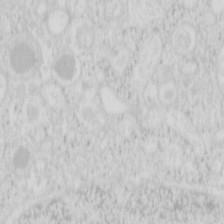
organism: Mouse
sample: Pancreas